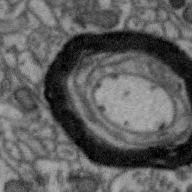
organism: Zebra finch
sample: Brain